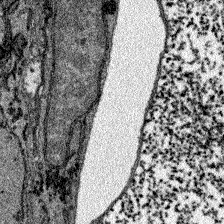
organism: Zebrafish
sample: Larval olfactory bulb